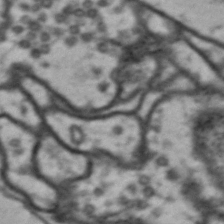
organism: Drosophila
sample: Brain